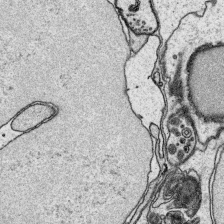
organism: Platynereis dumerilii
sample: Parapodia